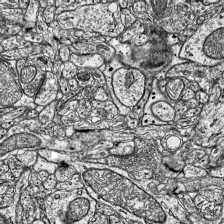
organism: Mouse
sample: Visual Cortex